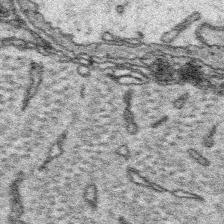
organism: Platynereis dumerilii